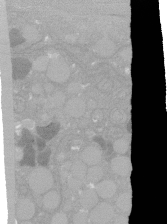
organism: C. elegans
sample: C. elegans oocyte; sperm cells